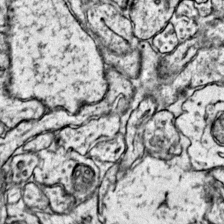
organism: Mouse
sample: Primary visual cortex